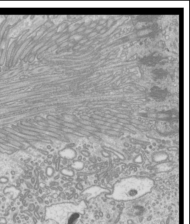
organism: Mouse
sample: Cilia; mouse epididymis